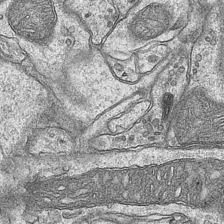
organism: Mouse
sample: CA1 Hippocampus